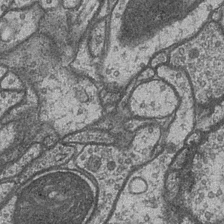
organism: Drosophila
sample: Optic medulla